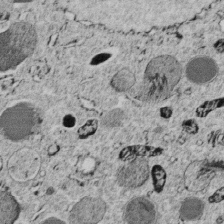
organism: C. elegans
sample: C. elegans embryo early stage